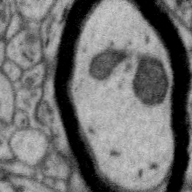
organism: Zebra finch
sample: Brain